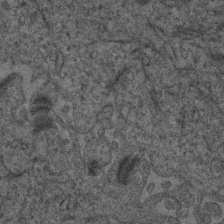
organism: Human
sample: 1205lu cells